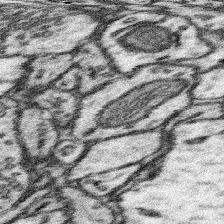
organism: Mouse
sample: Somatosensory cortex neuropil